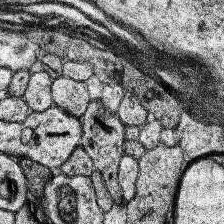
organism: Human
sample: Temporal Lobe